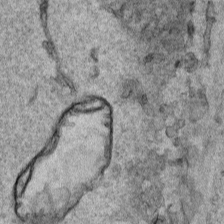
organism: Human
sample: Mitochondria in HCT116 cells